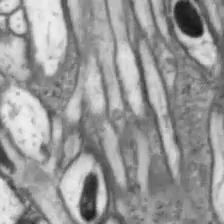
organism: Drosophila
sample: Optic lobe